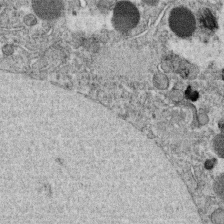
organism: C. elegans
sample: C. elegans oocyte; sperm cells